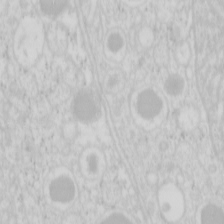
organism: Mouse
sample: Pancreas